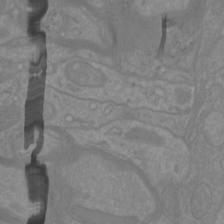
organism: Mouse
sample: Cortical neurons